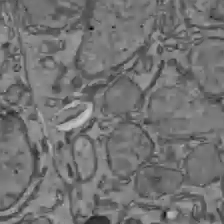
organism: C57BL Mouse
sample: Liver